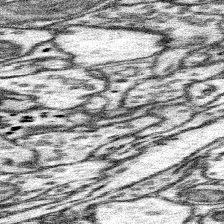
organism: Mouse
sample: Somatosensory cortex neuropil